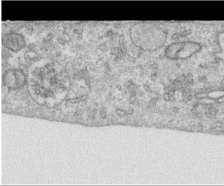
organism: Human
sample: Centriole in RPE cells